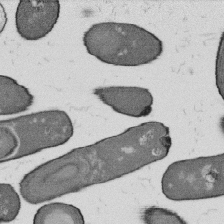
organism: B. subtilis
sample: Bacterial spore